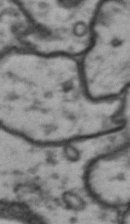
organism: Drosophila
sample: Brain